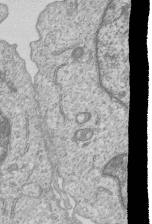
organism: Human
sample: MDA-MB-231 cells